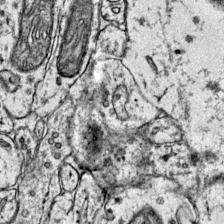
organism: Mouse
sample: Primary visual cortex